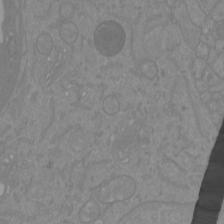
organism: Mouse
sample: Cortical neurons